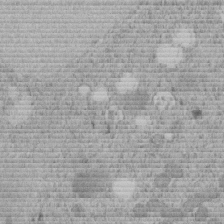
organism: C. elegans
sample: C. elegans embryo early stage